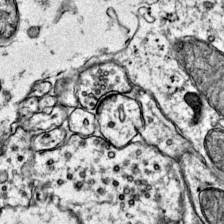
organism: Mouse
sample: Primary visual cortex